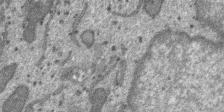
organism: Human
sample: Lung epithelial cells infected with SARS-CoV-2